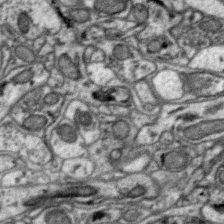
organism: Zebra finch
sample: Brain